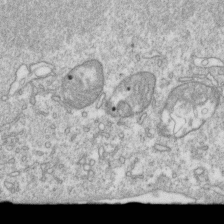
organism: Mouse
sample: Activated OT-1 CD8+ T cells